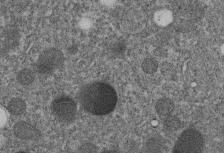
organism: C. elegans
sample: C. elegans embryo early stage